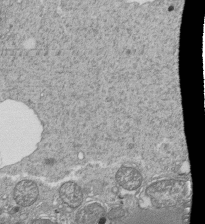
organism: Tetrahymena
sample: Cilia in tetrahymena